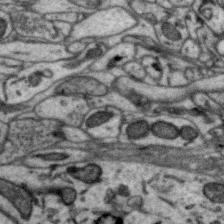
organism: Zebra finch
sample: Brain